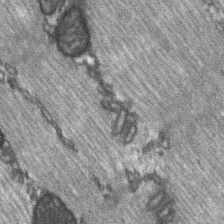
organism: C57BL Mouse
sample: Soleus